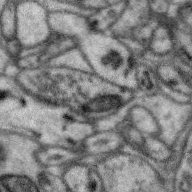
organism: Zebra finch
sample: Brain